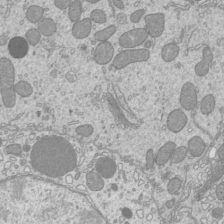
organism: Mouse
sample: Cilia; mouse epididymis